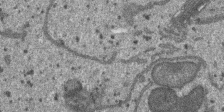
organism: Human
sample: Lung epithelial cells infected with SARS-CoV-2